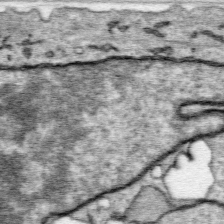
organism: Human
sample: HeLa cells